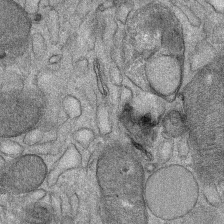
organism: Mouse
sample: Mouse Salivary gland